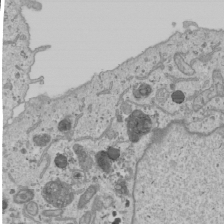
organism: Human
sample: Mitochondria in U2OS cells